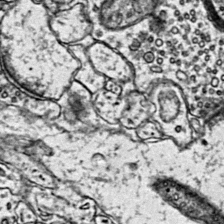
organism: Mouse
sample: Primary visual cortex